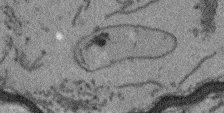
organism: Arabidopsis thaliana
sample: Root tip